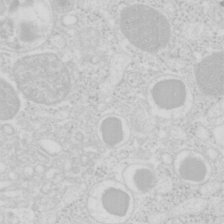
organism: Mouse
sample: Pancreas